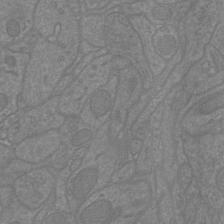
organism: Mouse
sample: Cortical neurons